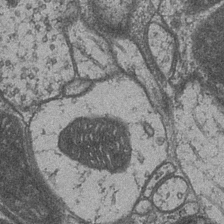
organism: Drosophila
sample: Optic medulla